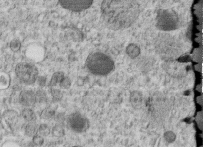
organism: C. elegans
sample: C. elegans embryo early stage